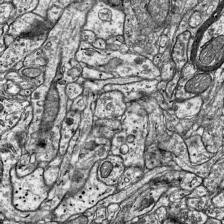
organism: Mouse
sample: Visual Cortex